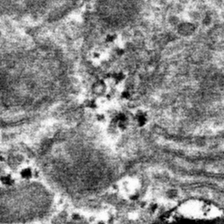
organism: Mouse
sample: Mouse hepatocytes